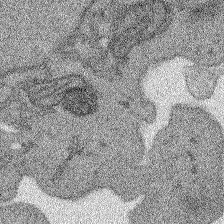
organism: Human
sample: HeLa cells